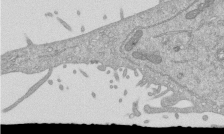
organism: Mouse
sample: ED-1 cell nuclei; centrioles